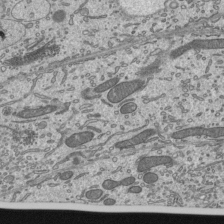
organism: Mouse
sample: Mouse epididymis efferent ductule cilia